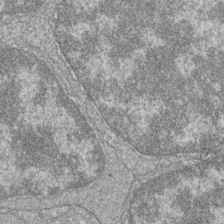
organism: Zebrafish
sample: Cilia; retinal pigment epithelium